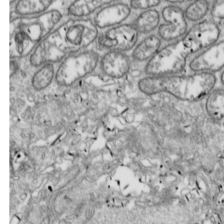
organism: Drosophila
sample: Cell division; meiosis; drosophila spermatocytes